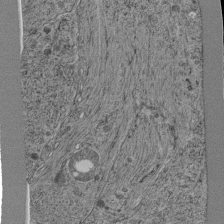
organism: C. elegans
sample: C. elegans pharynx